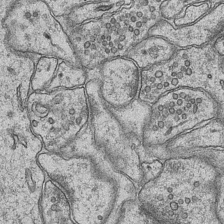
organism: Mouse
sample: CA1 Hippocampus